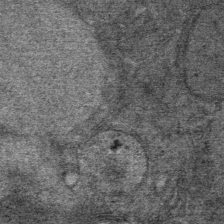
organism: Mouse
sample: Mouse Salivary gland